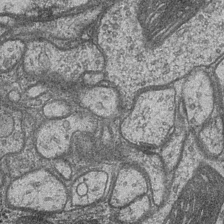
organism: Drosophila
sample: Optic medulla